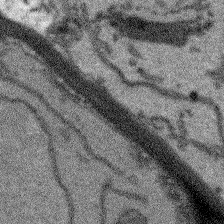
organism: Arabidopsis thaliana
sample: Root tip